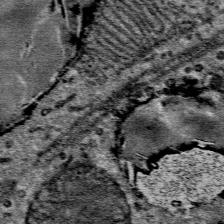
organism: Mouse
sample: Mouse Salivary gland